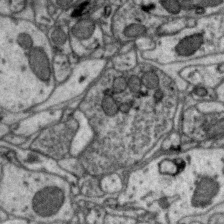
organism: Zebra finch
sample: Brain